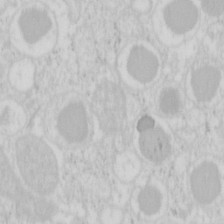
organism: Mouse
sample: Pancreas